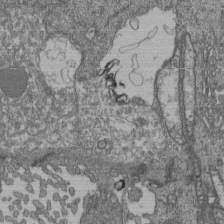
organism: Human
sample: Retinal organoid Rod and Cone cells